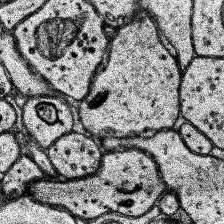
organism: Human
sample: Temporal Lobe